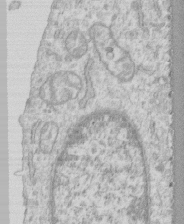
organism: Human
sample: CRL-1474